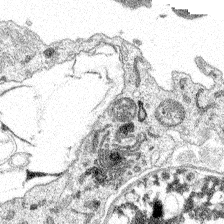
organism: Spongilla lacustris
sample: Multiple